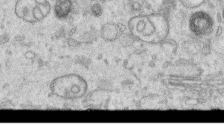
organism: Human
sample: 1205lu cells